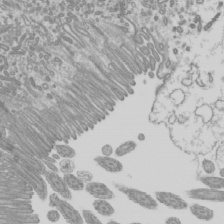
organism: Mouse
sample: Cilia; mouse epididymis